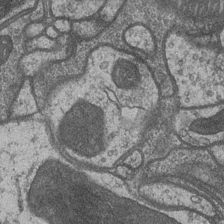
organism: Drosophila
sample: Optic medulla